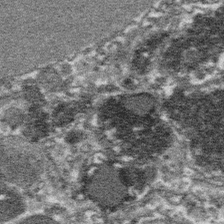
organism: Platynereis dumerilii